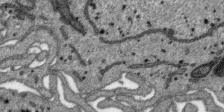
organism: Human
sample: Lung epithelial cells, uninfected (mock) control